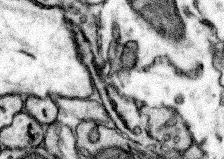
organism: Mouse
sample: Somatosensory cortex neuropil